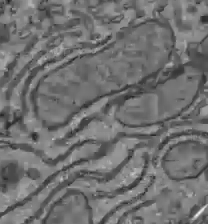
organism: C57BL Mouse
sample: Liver